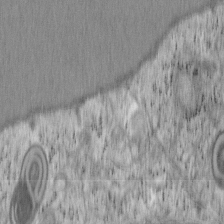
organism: Human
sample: HeLa cells